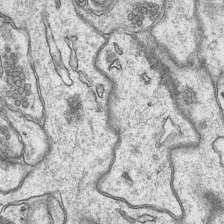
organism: Mouse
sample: CA1 Hippocampus